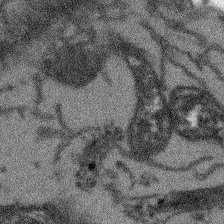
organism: Arabidopsis thaliana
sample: Root tip